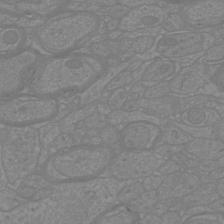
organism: Mouse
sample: Cortical neurons